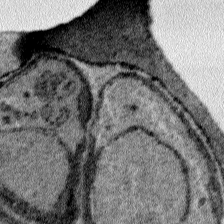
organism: Plasmodium falciparum